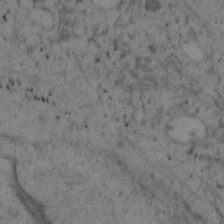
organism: Human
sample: HeLa cells